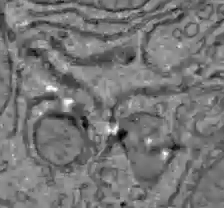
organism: C57BL Mouse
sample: Liver